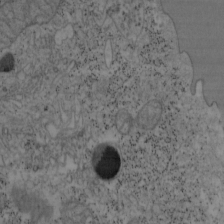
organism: Mouse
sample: OT-I killer T cells with ID8 ovarian cancer cells